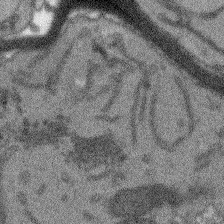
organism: Arabidopsis thaliana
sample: Root tip